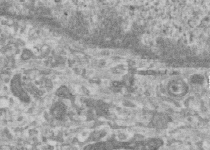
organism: Human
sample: Centriole in RPE cells